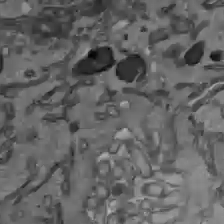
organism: C57BL Mouse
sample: Liver